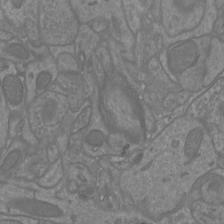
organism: Mouse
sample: Cortical neurons